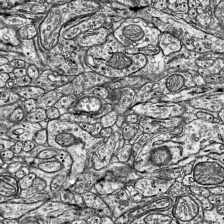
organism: Mouse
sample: Visual Cortex